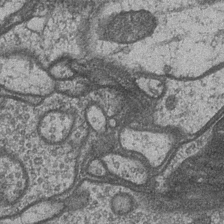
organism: Drosophila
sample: Optic medulla